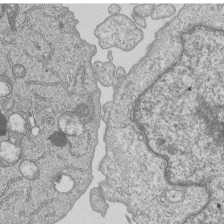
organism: Human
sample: MDA-MB-231 cells